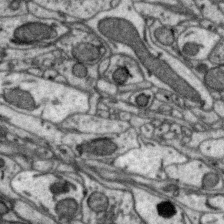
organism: Zebra finch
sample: Brain